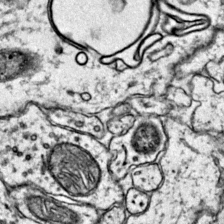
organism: Mouse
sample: Primary visual cortex